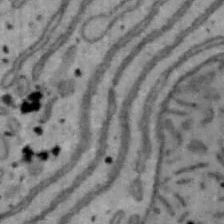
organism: Mouse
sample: Liver